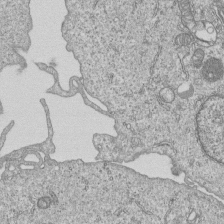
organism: Human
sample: MDA-MB-231 cells